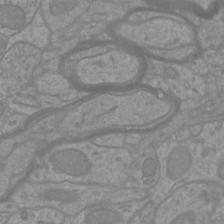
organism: Mouse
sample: Cortical neurons